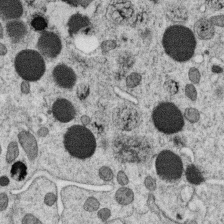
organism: C. elegans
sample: C. elegans oocyte; sperm cells